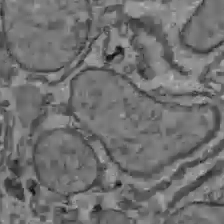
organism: C57BL Mouse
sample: Liver